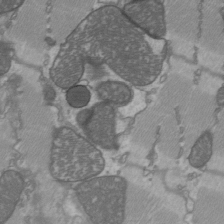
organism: C57BL Mouse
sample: Heart